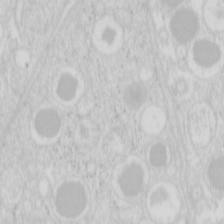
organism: Mouse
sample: Pancreas